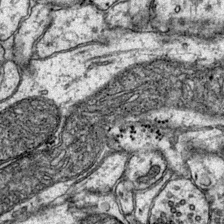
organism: Mouse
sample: Primary visual cortex